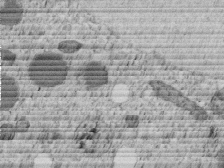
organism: C. elegans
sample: C. elegans embryo early stage